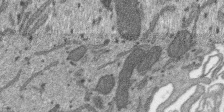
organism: Human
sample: Lung epithelial cells infected with SARS-CoV-2